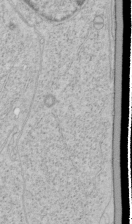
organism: Human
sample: Mitochondria in HCT116 cells